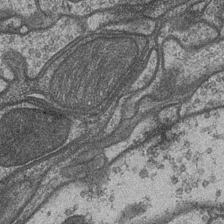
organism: Drosophila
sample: Optic medulla